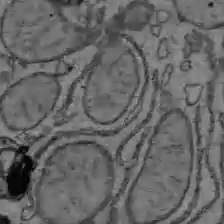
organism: C57BL Mouse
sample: Liver